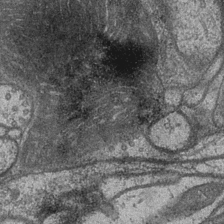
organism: Drosophila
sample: Optic medulla